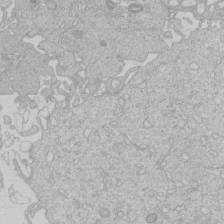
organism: Human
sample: Macrophage cells